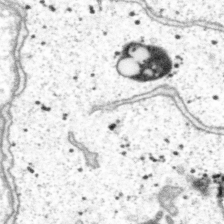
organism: Human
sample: HeLa cells